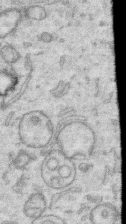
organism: Human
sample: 1205lu cells